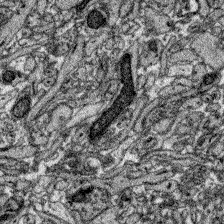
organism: Zebrafish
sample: Larval olfactory bulb